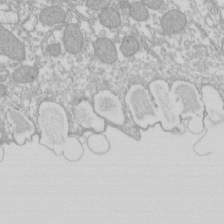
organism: Xenopus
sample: Cilia; centrioles in frog embryo cells